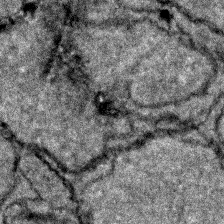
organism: Zebrafish